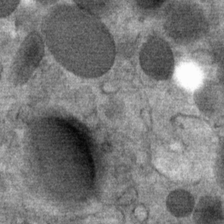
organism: Mouse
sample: Mouse Salivary gland